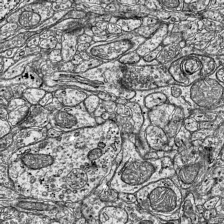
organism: Mouse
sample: Visual Cortex